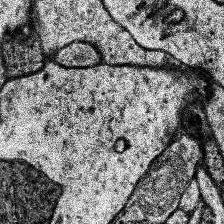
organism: Human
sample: Temporal Lobe